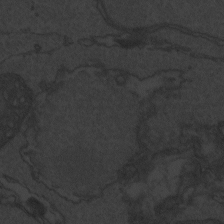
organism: Zebrafish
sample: Macrophage infected with Toxoplasma gondii